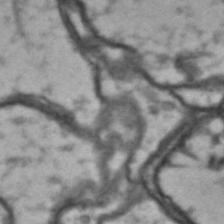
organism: Drosophila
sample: Brain